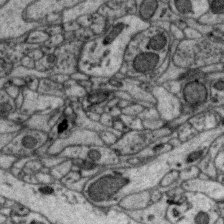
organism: Zebra finch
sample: Brain